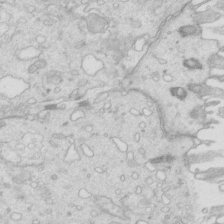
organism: Mouse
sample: Multiciliated cells